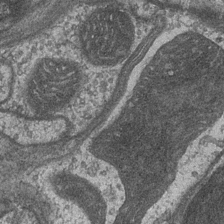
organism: Drosophila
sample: Optic medulla